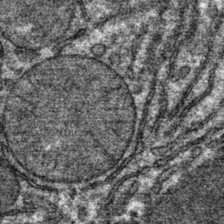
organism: Mouse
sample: Mouse hepatocytes